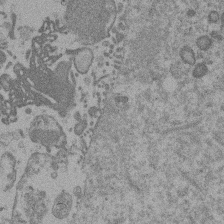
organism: Mouse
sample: Dividing mouse embryo 1 cell stage